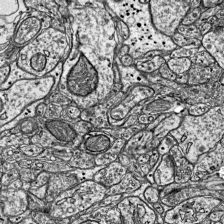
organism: Mouse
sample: Visual Cortex